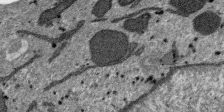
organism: Human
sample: Lung epithelial cells, uninfected (mock) control